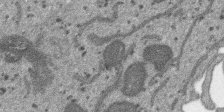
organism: Human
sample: Lung epithelial cells infected with SARS-CoV-2